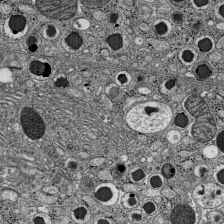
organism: C57BL Mouse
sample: Pancreatic islet